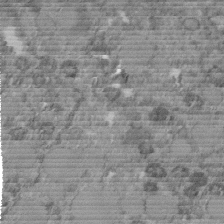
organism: C. elegans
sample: C. elegans embryo early stage